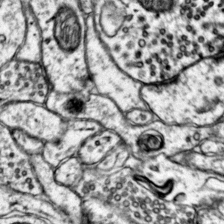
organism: Mouse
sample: Primary visual cortex